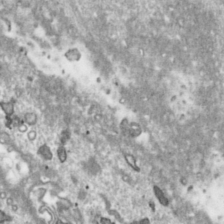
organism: Toxoplasma gondii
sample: Parasites in a vacuole inside a host cell